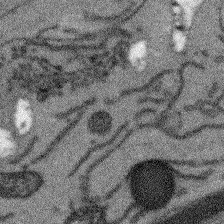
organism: Arabidopsis thaliana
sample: Root tip